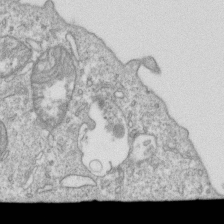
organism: Mouse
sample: Activated OT-1 CD8+ T cells